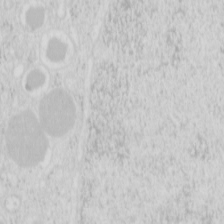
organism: Mouse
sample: Pancreas